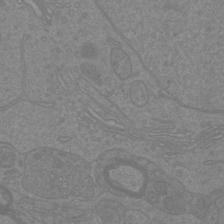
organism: Mouse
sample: Cortical neurons